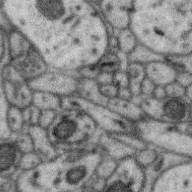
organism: Zebra finch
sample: Brain